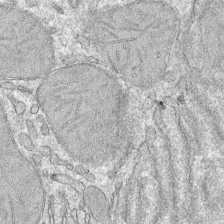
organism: Mouse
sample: Mouse hepatocytes